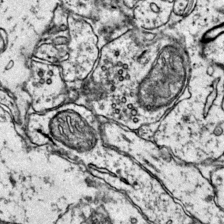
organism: Mouse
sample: Primary visual cortex